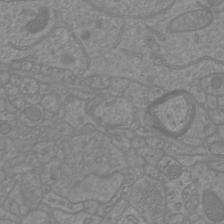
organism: Mouse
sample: Cortical neurons